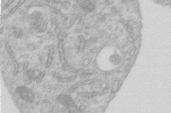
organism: Human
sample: Centriole in RPE cells